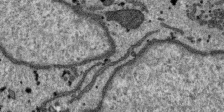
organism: Human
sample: Lung epithelial cells, uninfected (mock) control